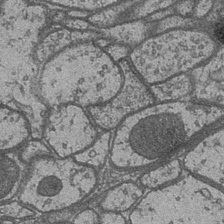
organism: Drosophila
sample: Optic medulla